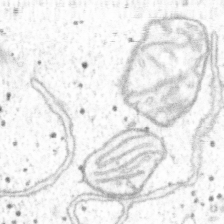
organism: Human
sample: HeLa cells